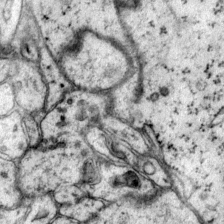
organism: Mouse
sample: Primary visual cortex